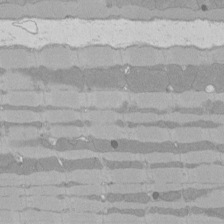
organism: Rat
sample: Left ventricle